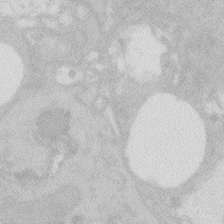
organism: Zebrafish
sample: Macrophage